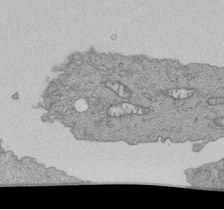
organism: Human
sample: Retinal organoid Rod and Cone cells